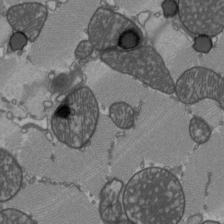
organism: C57BL Mouse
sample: Heart